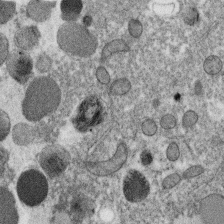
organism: C. elegans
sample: C. elegans oocyte; sperm cells